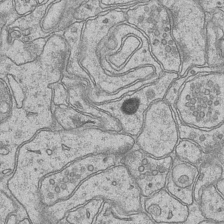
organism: Mouse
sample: CA1 Hippocampus